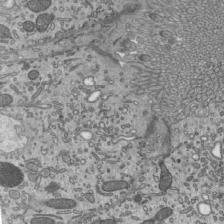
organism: Mouse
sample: Mouse epididymis efferent ductule cilia